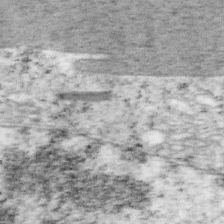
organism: Mouse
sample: OT-I killer T cells with ID8 ovarian cancer cells